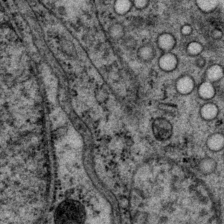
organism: P. pacificus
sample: Pharynx